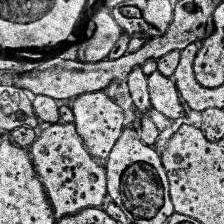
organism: Human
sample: Temporal Lobe